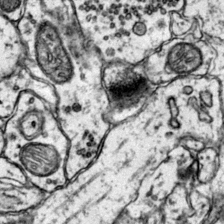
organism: Mouse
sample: Primary visual cortex